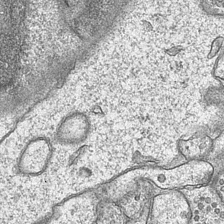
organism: Mouse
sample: CA1 Hippocampus